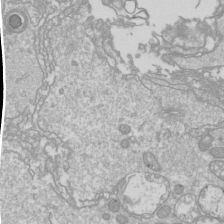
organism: Drosophila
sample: Cell division; meiosis; drosophila spermatocytes